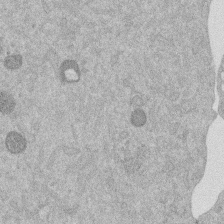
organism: Mouse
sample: Dividing mouse embryo 1 cell stage